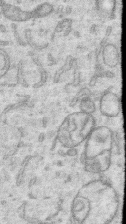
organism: Human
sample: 1205lu cells